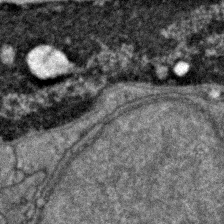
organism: Zebrafish